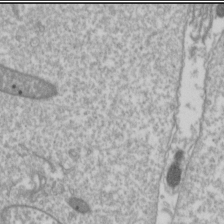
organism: Drosophila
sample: Cell division; meiosis; drosophila spermatocytes